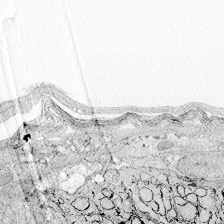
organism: Zebrafish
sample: Whole-Brain